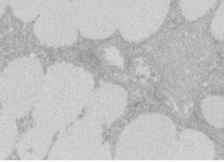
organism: Rat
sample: Salivary granule